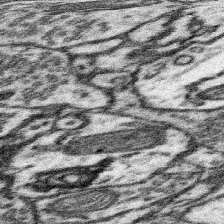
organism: Mouse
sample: Somatosensory cortex neuropil